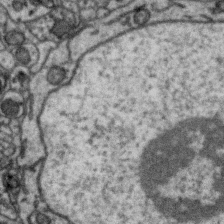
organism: Zebra finch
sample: Brain